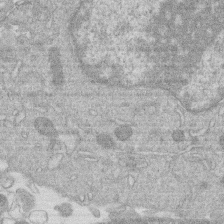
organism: Human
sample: Macrophage cells